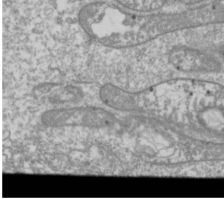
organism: Drosophila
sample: Cell division; meiosis; drosophila spermatocytes